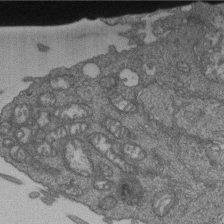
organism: Human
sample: Retinal organoid Rod and Cone cells